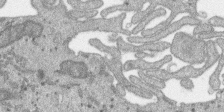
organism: Human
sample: Lung epithelial cells infected with SARS-CoV-2